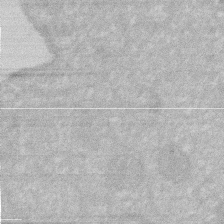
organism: Human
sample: HIV infected U937 cells